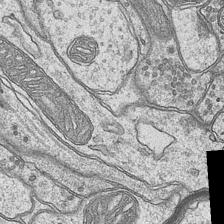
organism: Mouse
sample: CA1 Hippocampus